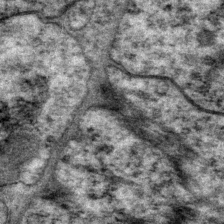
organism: P. pacificus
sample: Pharynx